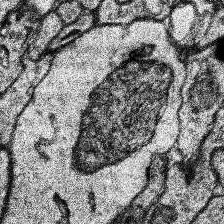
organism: Human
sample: Temporal Lobe